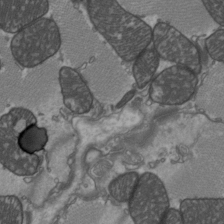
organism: C57BL Mouse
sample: Heart